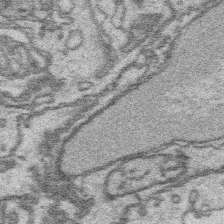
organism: Platynereis dumerilii